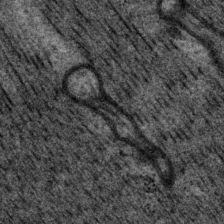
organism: P. pacificus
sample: Pharynx